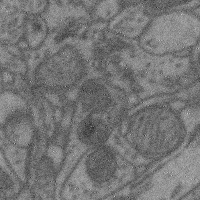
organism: Mouse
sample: Cerebral cortex